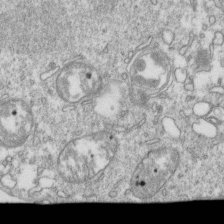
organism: Mouse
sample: Activated OT-1 CD8+ T cells